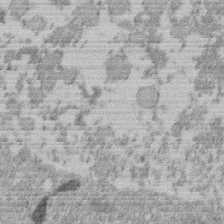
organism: Mouse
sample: Dividing mouse embryo 1 cell stage